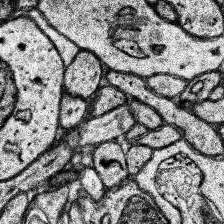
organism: Human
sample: Temporal Lobe